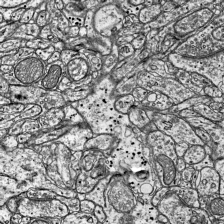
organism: Mouse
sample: Visual Cortex